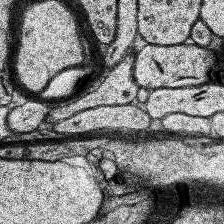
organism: Human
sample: Temporal Lobe